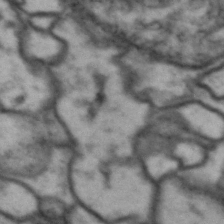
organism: Drosophila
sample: Brain